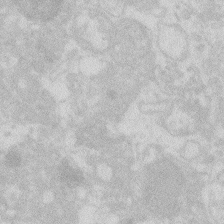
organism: Zebrafish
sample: Macrophage